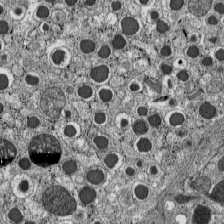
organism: C57BL Mouse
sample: Pancreatic islet